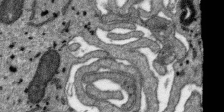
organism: Human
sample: Lung epithelial cells, uninfected (mock) control